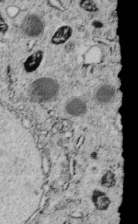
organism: C. elegans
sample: C. elegans embryo early stage